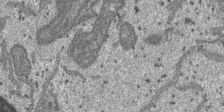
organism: Human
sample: Lung epithelial cells infected with SARS-CoV-2